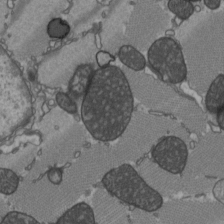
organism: C57BL Mouse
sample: Heart